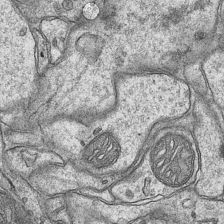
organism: Mouse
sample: CA1 Hippocampus